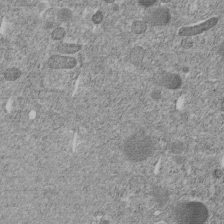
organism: C. elegans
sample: C. elegans embryo early stage